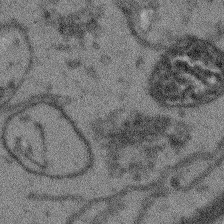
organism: Arabidopsis thaliana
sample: Root tip